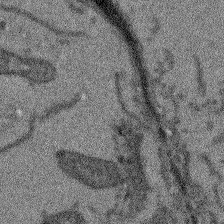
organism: Arabidopsis thaliana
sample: Root tip